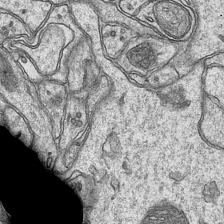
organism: Mouse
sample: CA1 Hippocampus